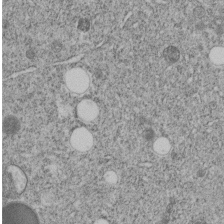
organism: C. elegans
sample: C. elegans embryo early stage